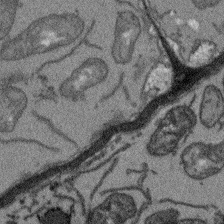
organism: Arabidopsis thaliana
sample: Root tip